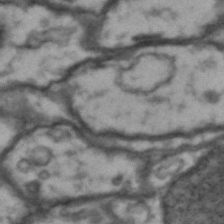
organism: Drosophila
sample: Brain